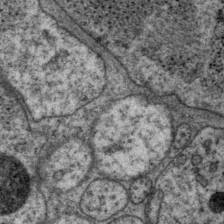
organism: P. pacificus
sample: Pharynx